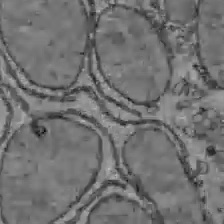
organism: C57BL Mouse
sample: Liver